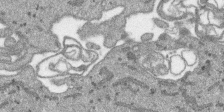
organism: Human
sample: Lung epithelial cells infected with SARS-CoV-2